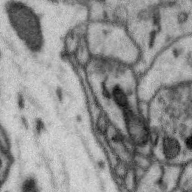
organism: Zebra finch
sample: Brain